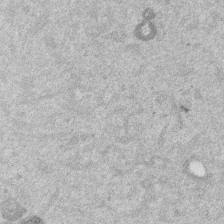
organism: Mouse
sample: Dividing mouse embryo 1 cell stage